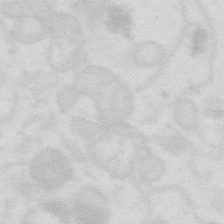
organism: Human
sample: HeLa cells